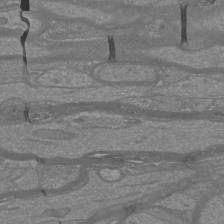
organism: Mouse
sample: Cortical neurons